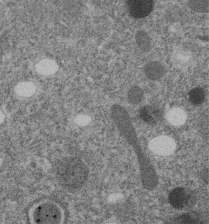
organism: C. elegans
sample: C. elegans embryo early stage